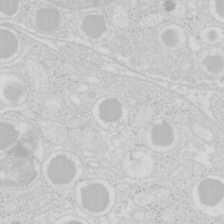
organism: Mouse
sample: Pancreas